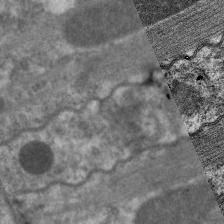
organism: C. elegans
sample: Pharynx